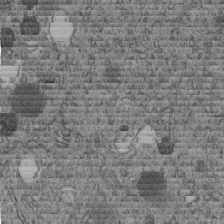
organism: C. elegans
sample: C. elegans embryo early stage